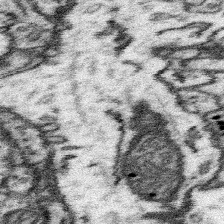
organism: Mouse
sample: Somatosensory cortex neuropil